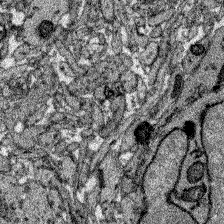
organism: Zebrafish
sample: Larval olfactory bulb